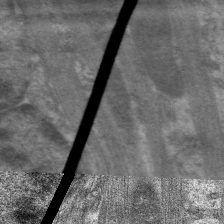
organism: C. elegans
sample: Pharynx